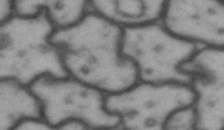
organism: Drosophila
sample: Brain